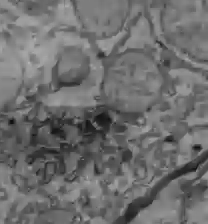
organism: C57BL Mouse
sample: Liver